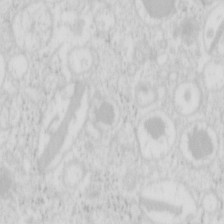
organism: Mouse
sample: Pancreas